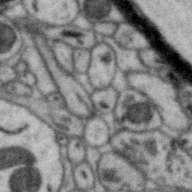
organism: Zebra finch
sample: Brain